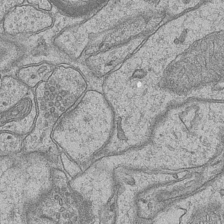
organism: Mouse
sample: CA1 Hippocampus